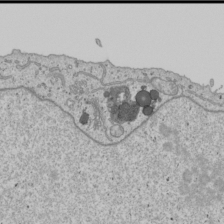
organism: Human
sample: Mitochondria in U2OS cells